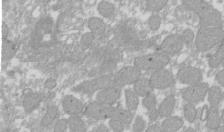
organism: Xenopus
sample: Cilia; centrioles in frog embryo cells